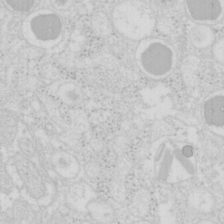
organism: Mouse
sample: Pancreas